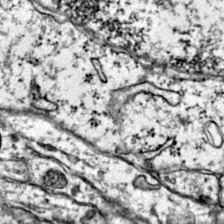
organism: Mouse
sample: Primary visual cortex